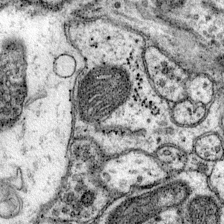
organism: Mouse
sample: Primary visual cortex